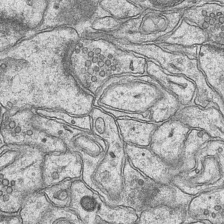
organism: Mouse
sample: CA1 Hippocampus